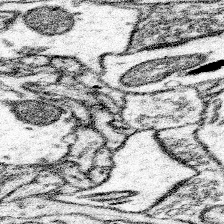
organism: Mouse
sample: Somatosensory cortex neuropil